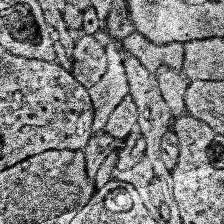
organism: Human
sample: Temporal Lobe